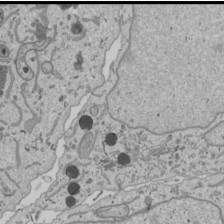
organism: Human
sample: Mitochondria in U2OS cells